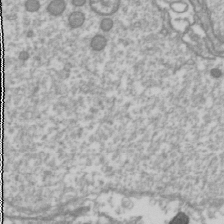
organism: Drosophila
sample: Cell division; meiosis; drosophila spermatocytes